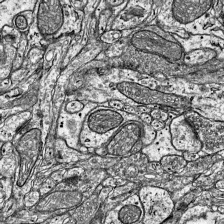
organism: Mouse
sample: Visual Cortex